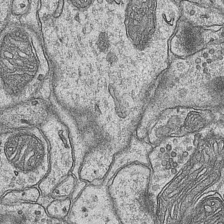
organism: Mouse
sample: CA1 Hippocampus